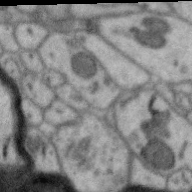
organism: Zebra finch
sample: Brain